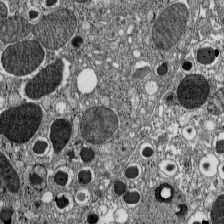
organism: C57BL Mouse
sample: Pancreatic islet